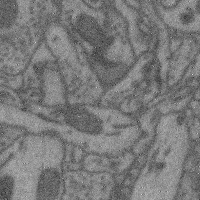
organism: Mouse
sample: Cerebral cortex